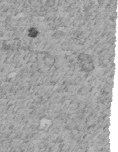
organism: C. elegans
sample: C. elegans embryo early stage